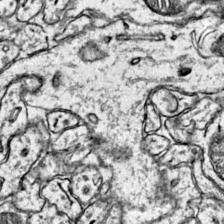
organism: Mouse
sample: Primary visual cortex